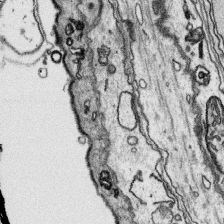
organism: Platynereis dumerilii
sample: Parapodia